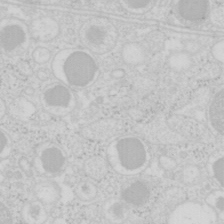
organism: Mouse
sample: Pancreas